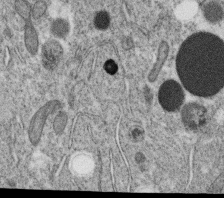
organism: C. elegans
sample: C. elegans oocyte; sperm cells